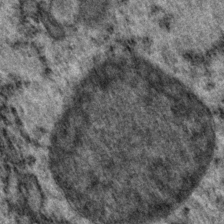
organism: P. pacificus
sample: Pharynx